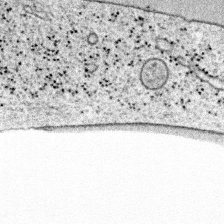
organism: Human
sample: HeLa cells